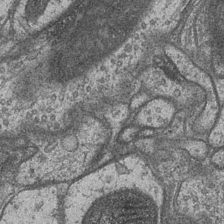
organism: Drosophila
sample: Optic medulla